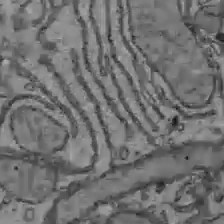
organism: C57BL Mouse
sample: Liver